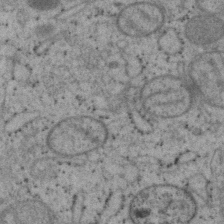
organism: Human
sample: HeLa cells